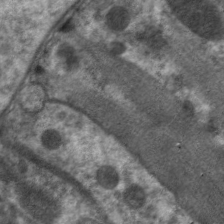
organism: C. elegans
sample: Pharynx